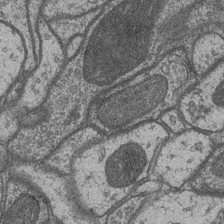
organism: Drosophila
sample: Optic medulla